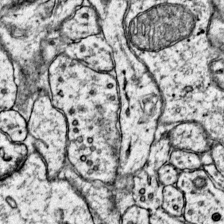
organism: Mouse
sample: Primary visual cortex